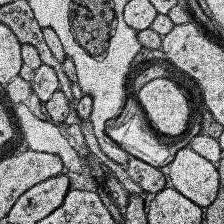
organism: Human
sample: Temporal Lobe